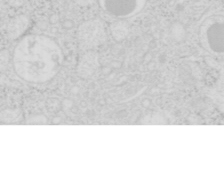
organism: Mouse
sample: Pancreas